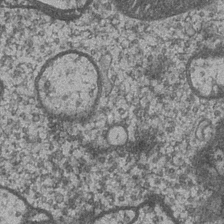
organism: Drosophila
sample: Optic medulla